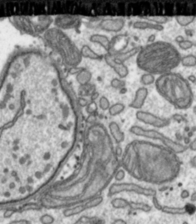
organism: Toxoplasma gondii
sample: Parasites in a vacuole inside a host cell